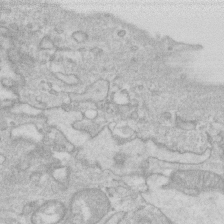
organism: Human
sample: Fibroblast cells